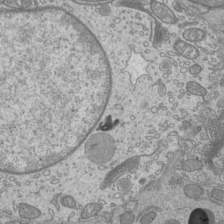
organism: Mouse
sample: Cilia; mouse epididymis